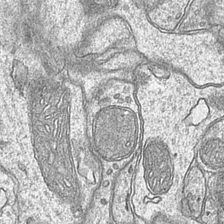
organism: Mouse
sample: CA1 Hippocampus